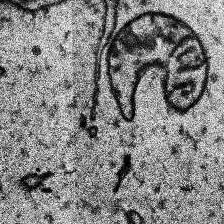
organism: Human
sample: Temporal Lobe